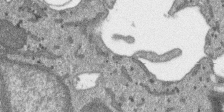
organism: Human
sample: Lung epithelial cells infected with SARS-CoV-2